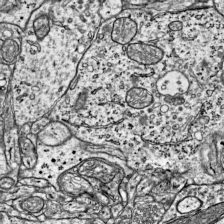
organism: Mouse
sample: Visual Cortex